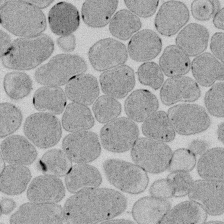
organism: E. coli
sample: Bacterial nucleoid